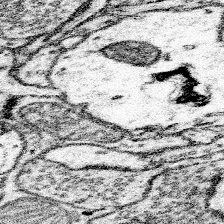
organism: Mouse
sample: Somatosensory cortex neuropil